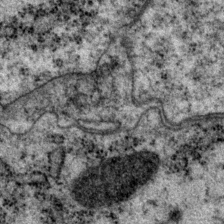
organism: P. pacificus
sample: Pharynx